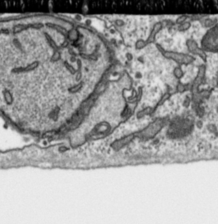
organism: Toxoplasma gondii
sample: Parasites in a vacuole inside a host cell